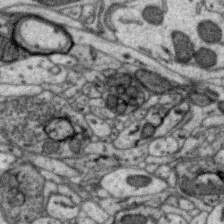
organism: Zebra finch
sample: Brain